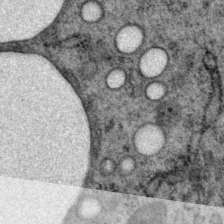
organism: P. pacificus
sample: Pharynx